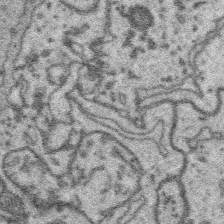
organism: Platynereis dumerilii